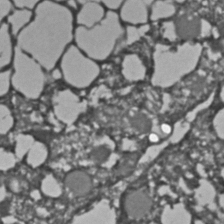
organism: C. elegans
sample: C. elegans embryo